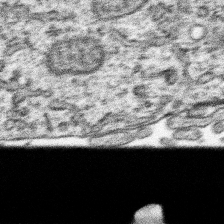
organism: Human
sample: HeLa cells